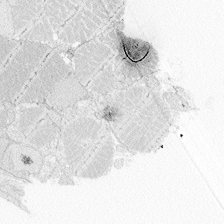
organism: Zebrafish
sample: Whole-Brain